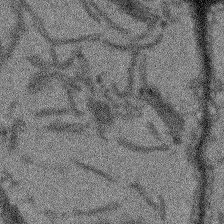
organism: Arabidopsis thaliana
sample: Root tip